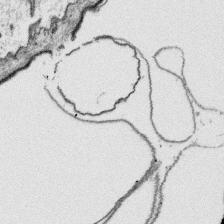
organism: Platynereis dumerilii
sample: Parapodia